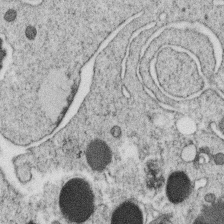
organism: C. elegans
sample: C. elegans oocyte; sperm cells